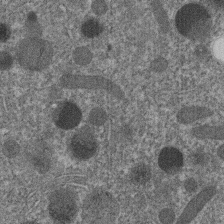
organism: C. elegans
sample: C. elegans embryo early stage